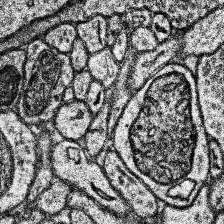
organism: Human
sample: Temporal Lobe